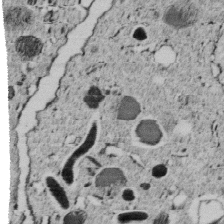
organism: C. elegans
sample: C. elegans embryo early stage